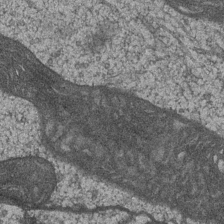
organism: Drosophila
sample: Optic medulla